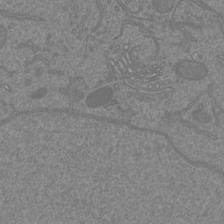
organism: Mouse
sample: Cortical neurons